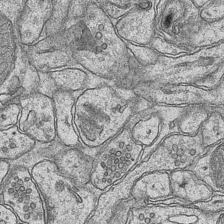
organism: Mouse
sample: CA1 Hippocampus